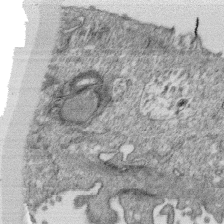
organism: African green monkey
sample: Vero E6 cells infected with SARS-CoV-2